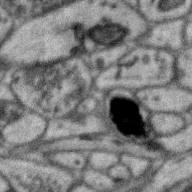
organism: Zebra finch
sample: Brain